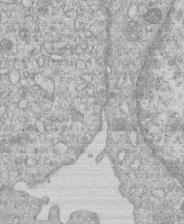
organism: Human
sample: Macrophage cells